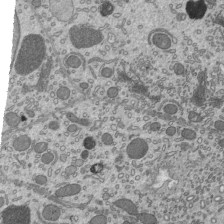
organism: Mouse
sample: Mouse epididymis efferent ductule cilia